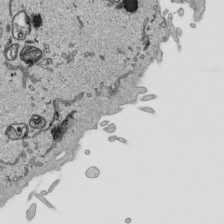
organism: Human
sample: Mitochondria in HCT116 cells